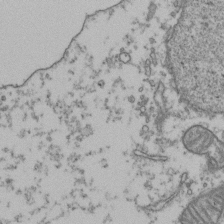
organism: Human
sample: Activated Jurkat CD4+ T cells